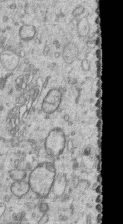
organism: Human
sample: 1205lu cells